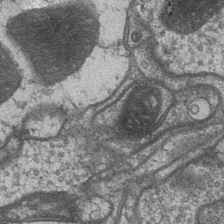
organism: Drosophila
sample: Optic medulla